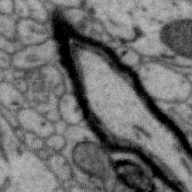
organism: Zebra finch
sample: Brain